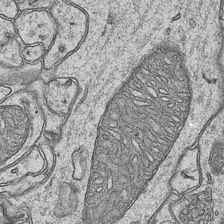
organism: Mouse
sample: CA1 Hippocampus